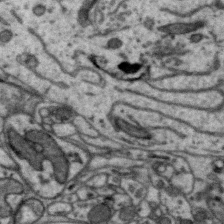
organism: Zebra finch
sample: Brain